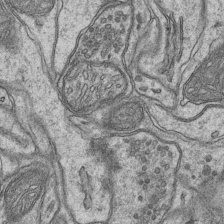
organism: Mouse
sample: CA1 Hippocampus